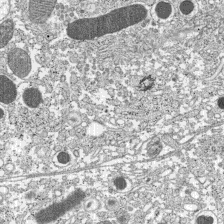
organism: C57BL Mouse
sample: Pancreatic islet